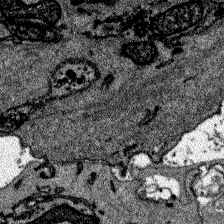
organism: Zebrafish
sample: Larval olfactory bulb